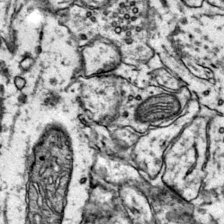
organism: Mouse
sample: Primary visual cortex